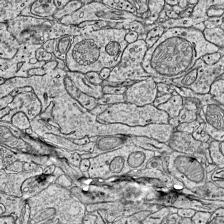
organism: Mouse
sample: Visual Cortex